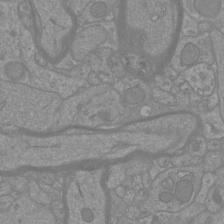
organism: Mouse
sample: Cortical neurons